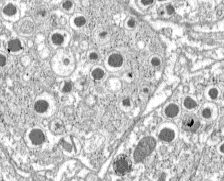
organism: C57BL Mouse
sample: Pancreatic islet